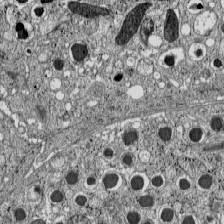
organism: C57BL Mouse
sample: Pancreatic islet